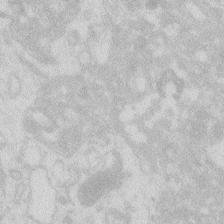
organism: Zebrafish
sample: Macrophage